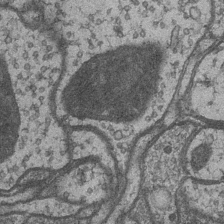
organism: Drosophila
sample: Optic medulla